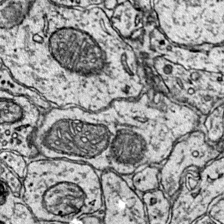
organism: Mouse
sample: Primary visual cortex